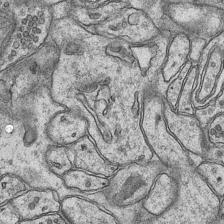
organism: Mouse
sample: CA1 Hippocampus